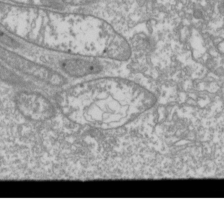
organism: Drosophila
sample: Cell division; meiosis; drosophila spermatocytes